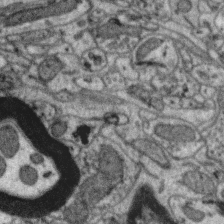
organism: Zebra finch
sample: Brain